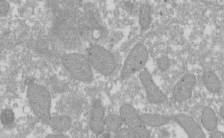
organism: Xenopus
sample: Cilia; centrioles in frog embryo cells